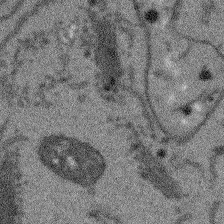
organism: Arabidopsis thaliana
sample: Root tip